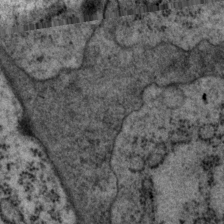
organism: P. pacificus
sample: Pharynx